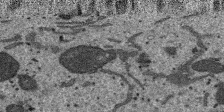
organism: Human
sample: Lung epithelial cells infected with SARS-CoV-2